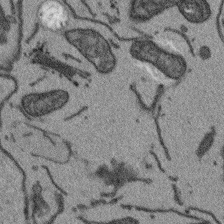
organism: Arabidopsis thaliana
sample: Root tip